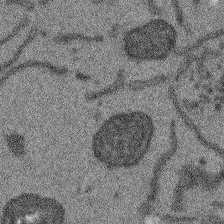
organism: Arabidopsis thaliana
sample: Root tip